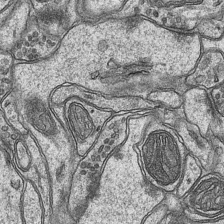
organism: Mouse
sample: CA1 Hippocampus